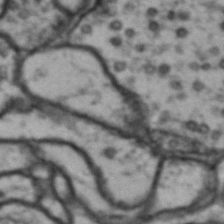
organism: Drosophila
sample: Brain